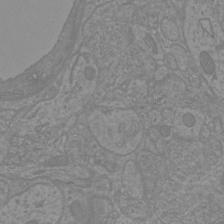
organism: Mouse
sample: Cortical neurons